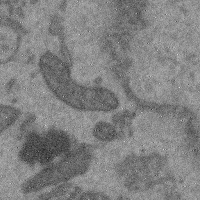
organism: Mouse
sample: Cerebral cortex